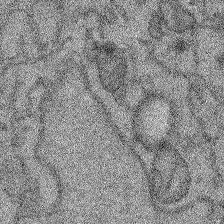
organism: Human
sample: HeLa cells